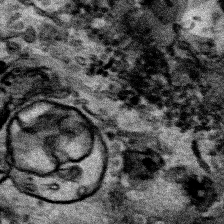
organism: Human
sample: Mitochondria in HCT116 cells